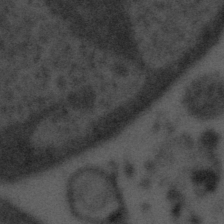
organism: Tuwongella immobilis